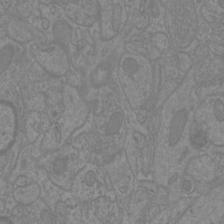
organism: Mouse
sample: Cortical neurons